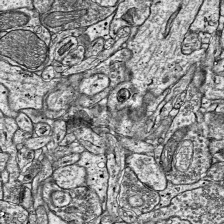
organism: Mouse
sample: Visual Cortex